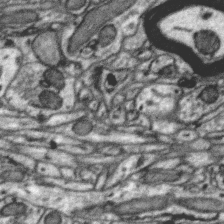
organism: Zebra finch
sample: Brain